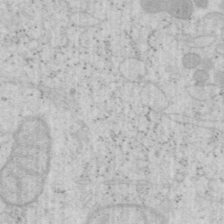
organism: Human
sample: HeLa cells